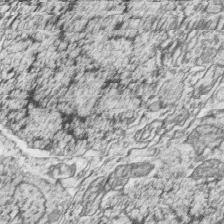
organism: Zebrafish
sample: synaptic ribbons in rod cells and cone cells